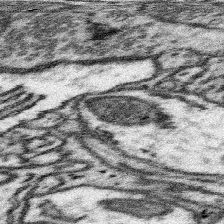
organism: Mouse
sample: Somatosensory cortex neuropil